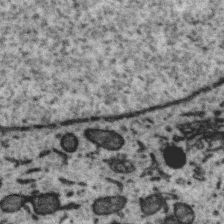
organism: Zebra finch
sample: Brain